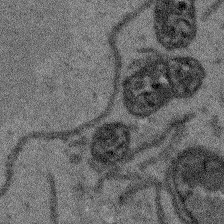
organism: Arabidopsis thaliana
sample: Root tip